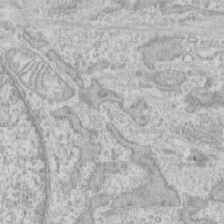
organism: Human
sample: CRL-1474